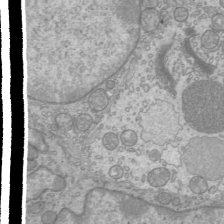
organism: Mouse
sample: Cilia; mouse epididymis